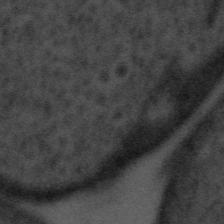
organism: Tuwongella immobilis